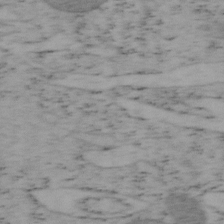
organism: Mouse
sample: OT-I killer T cells with ID8 ovarian cancer cells